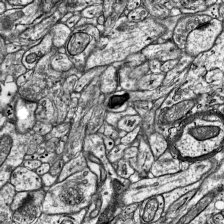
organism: Mouse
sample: Visual Cortex